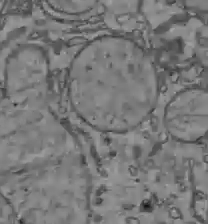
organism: C57BL Mouse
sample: Liver